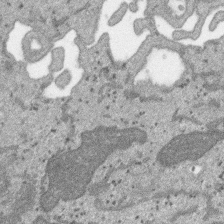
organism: Human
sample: Lung epithelial cells infected with SARS-CoV-2